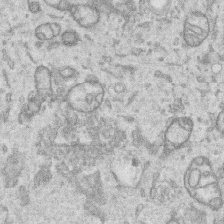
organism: Human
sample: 1205lu cells